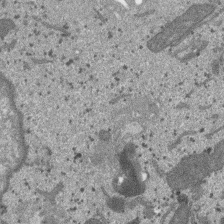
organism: Human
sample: Lung epithelial cells infected with SARS-CoV-2